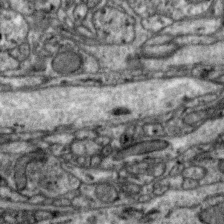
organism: Zebra finch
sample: Brain